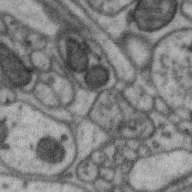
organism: Zebra finch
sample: Brain